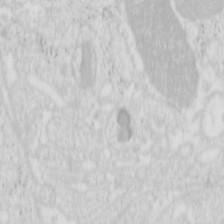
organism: Mouse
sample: Pancreas